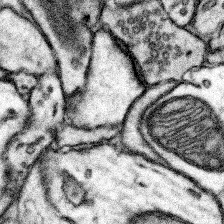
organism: Mouse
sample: Somatosensory cortex neuropil